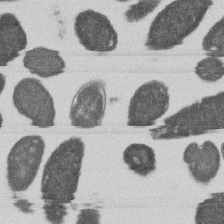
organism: E. coli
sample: Bacterial nucleoid